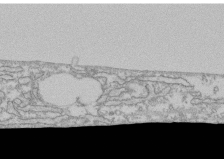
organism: Human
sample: CRL-1474